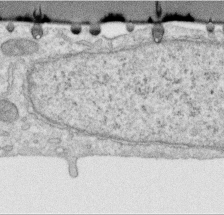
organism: Human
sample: Centriole in RPE cells